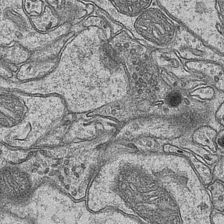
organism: Mouse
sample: CA1 Hippocampus